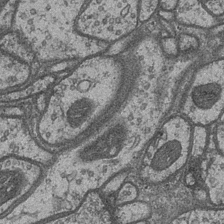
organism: Drosophila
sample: Optic medulla